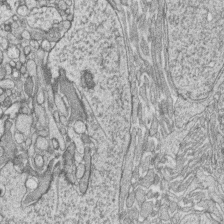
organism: Zebrafish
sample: synaptic ribbons in rod cells and cone cells